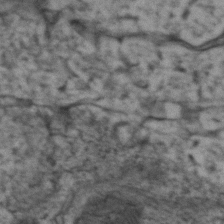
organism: Zebrafish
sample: Zebrafish embryo